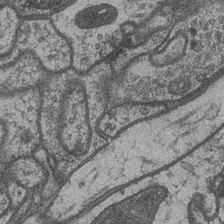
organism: Drosophila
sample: Optic medulla